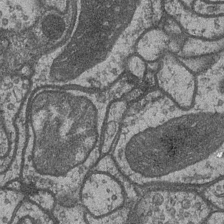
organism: Drosophila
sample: Optic medulla